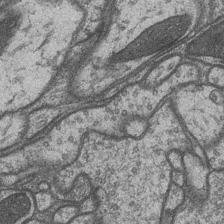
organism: Drosophila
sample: Optic medulla